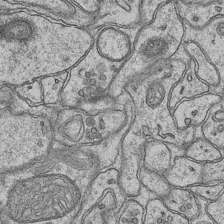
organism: Mouse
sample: CA1 Hippocampus